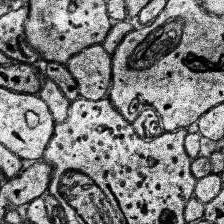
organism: Human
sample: Temporal Lobe